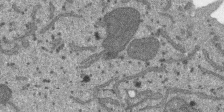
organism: Human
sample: Lung epithelial cells infected with SARS-CoV-2